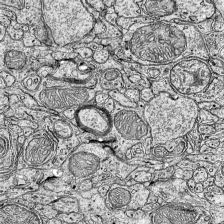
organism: Mouse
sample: Visual Cortex